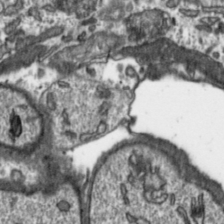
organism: Toxoplasma gondii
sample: Parasites in a vacuole inside a host cell